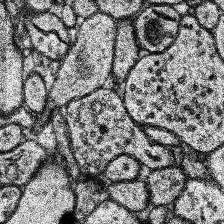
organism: Human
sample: Temporal Lobe